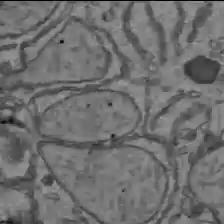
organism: C57BL Mouse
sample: Liver